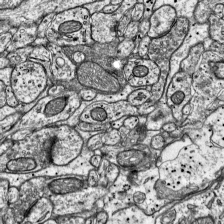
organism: Mouse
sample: Visual Cortex